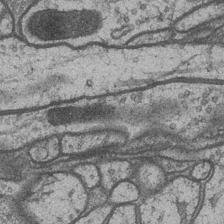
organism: Drosophila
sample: Optic medulla